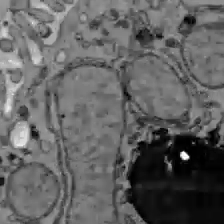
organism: C57BL Mouse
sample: Liver